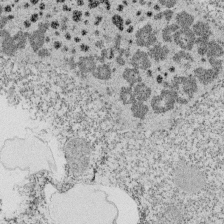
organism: Tetrahymena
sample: Cilia in tetrahymena